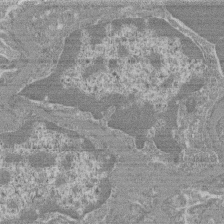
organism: Mouse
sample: Glomerulus